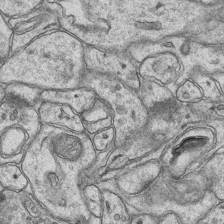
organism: Mouse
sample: CA1 Hippocampus